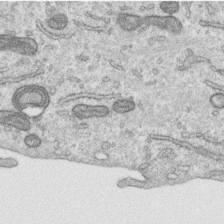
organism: Human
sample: Centriole in RPE cells